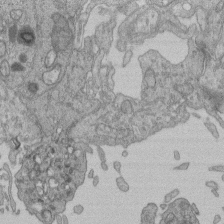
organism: Human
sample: Retinal organoid Rod and Cone cells